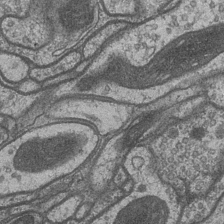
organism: Drosophila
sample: Optic medulla